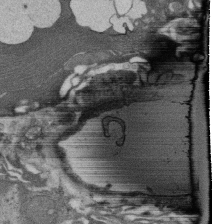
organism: Rat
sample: Salivary granule